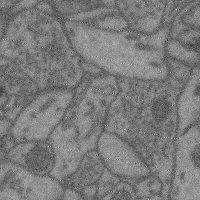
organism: Mouse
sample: Cerebral cortex